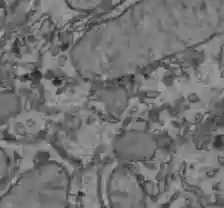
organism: C57BL Mouse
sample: Liver